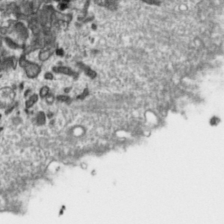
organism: Toxoplasma gondii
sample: Parasites in a vacuole inside a host cell